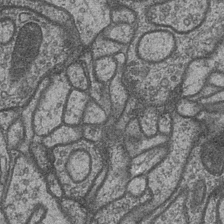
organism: Drosophila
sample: Optic medulla